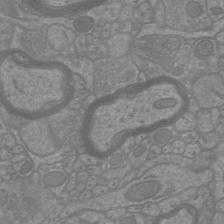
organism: Mouse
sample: Cortical neurons